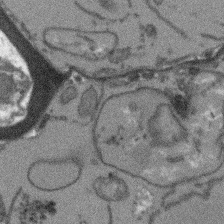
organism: Arabidopsis thaliana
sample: Root tip